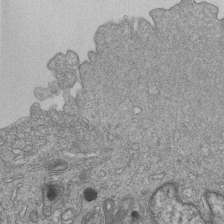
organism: Human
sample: MDA-MB-231 cells